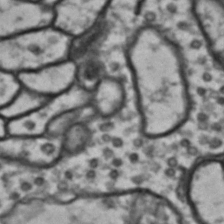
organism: Drosophila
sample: Brain